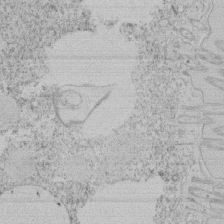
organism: Tetrahymena